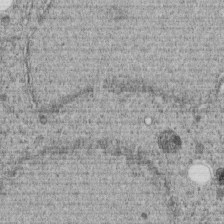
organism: C. elegans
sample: C. elegans embryo early stage